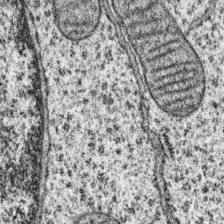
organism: Human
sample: HeLa cells